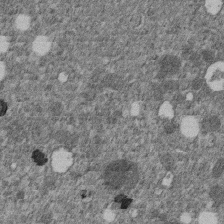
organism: C. elegans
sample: C. elegans embryo early stage